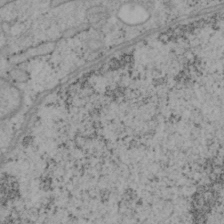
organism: Human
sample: HeLa cells